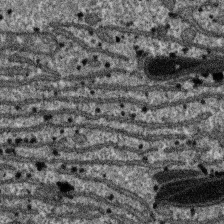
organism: Human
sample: Lung epithelial cells infected with SARS-CoV-2